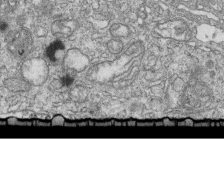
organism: Human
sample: HeLa cell HIV synapse